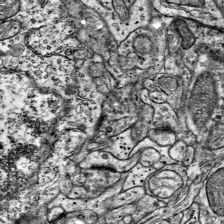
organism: Mouse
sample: Visual Cortex